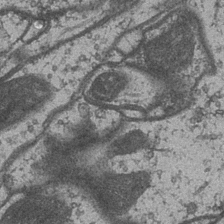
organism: Drosophila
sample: Optic medulla